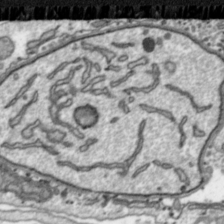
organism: Toxoplasma gondii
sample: Parasites in a vacuole inside a host cell